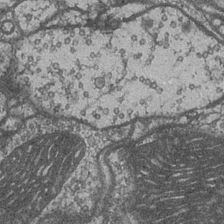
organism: Drosophila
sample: Optic medulla